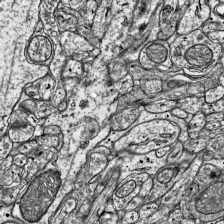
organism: Mouse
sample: Visual Cortex